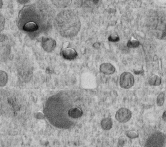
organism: C. elegans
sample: C. elegans embryo early stage